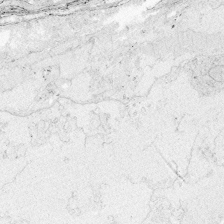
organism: Zebrafish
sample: Whole-Brain